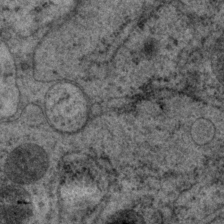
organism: P. pacificus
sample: Pharynx